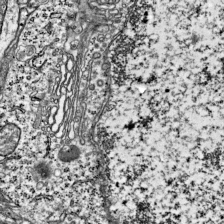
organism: Mouse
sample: Visual Cortex